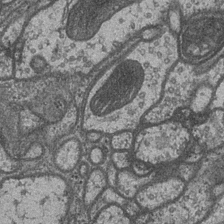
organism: Drosophila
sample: Optic medulla